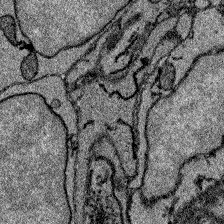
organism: Zebrafish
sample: Larval olfactory bulb